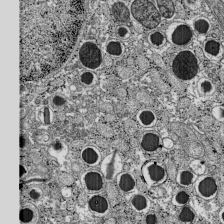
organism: C57BL Mouse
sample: Pancreatic islet